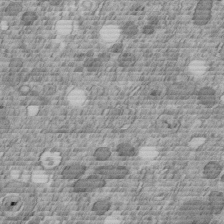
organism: C. elegans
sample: C. elegans embryo early stage